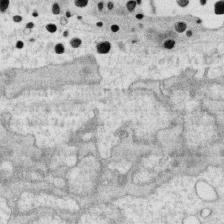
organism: Human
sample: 1205lu cells